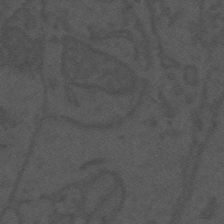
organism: Mouse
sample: Suprachiasmatic nucleus